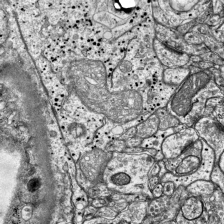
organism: Mouse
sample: Visual Cortex